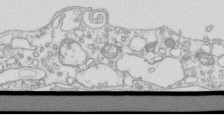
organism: Mouse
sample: Macrophages